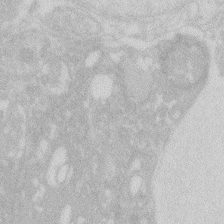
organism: Zebrafish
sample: Macrophage